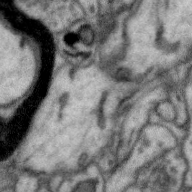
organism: Zebra finch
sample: Brain